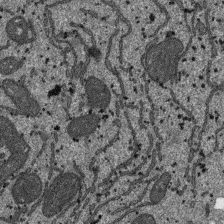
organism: Human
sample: Lung epithelial cells infected with SARS-CoV-2